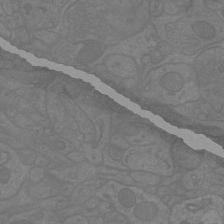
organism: Mouse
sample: Cortical neurons